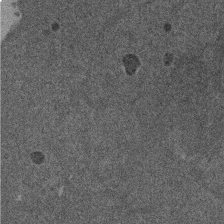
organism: Mouse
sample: Dividing mouse embryo 1 cell stage